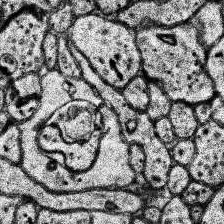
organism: Human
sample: Temporal Lobe